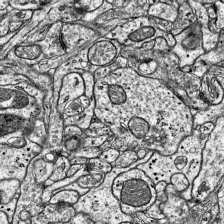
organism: Mouse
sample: Visual Cortex